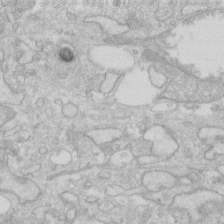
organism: Human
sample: Fibroblast cells